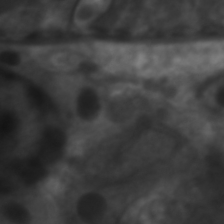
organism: C. elegans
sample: Pharynx